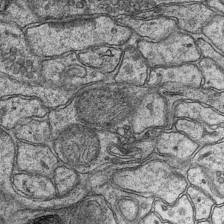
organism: Mouse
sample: CA1 Hippocampus